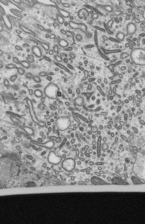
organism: Mouse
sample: Mouse epididymis efferent ductule cilia